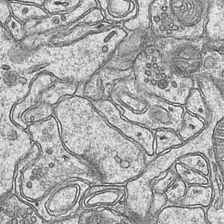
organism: Mouse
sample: CA1 Hippocampus